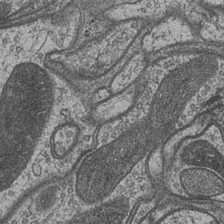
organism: Drosophila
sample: Optic medulla